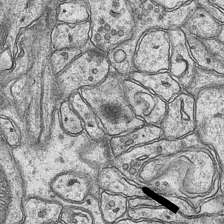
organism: Mouse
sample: CA1 Hippocampus